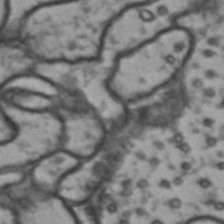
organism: Drosophila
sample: Brain